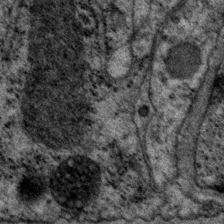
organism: P. pacificus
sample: Pharynx